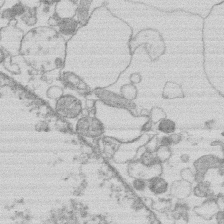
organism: Human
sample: Macrophage cells